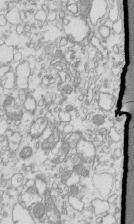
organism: Mouse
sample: Macrophages